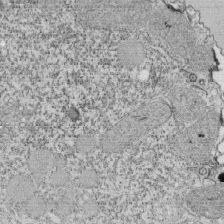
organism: Tetrahymena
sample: Cilia in tetrahymena